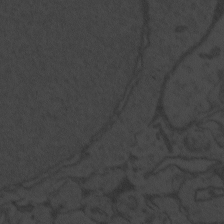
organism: Zebrafish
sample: Macrophage infected with Toxoplasma gondii